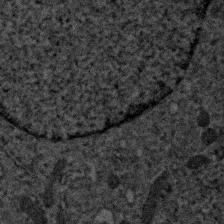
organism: Human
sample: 1205lu cells